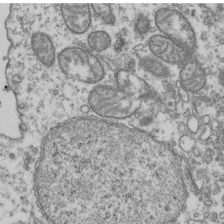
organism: Human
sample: Activated Jurkat CD4+ T cells